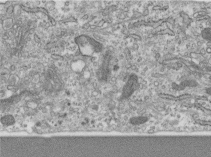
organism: Human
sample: Centriole in RPE cells